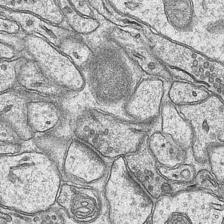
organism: Mouse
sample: CA1 Hippocampus